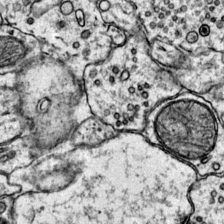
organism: Mouse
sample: Primary visual cortex